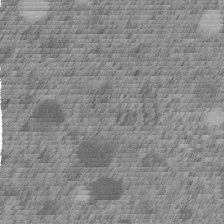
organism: C. elegans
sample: C. elegans embryo early stage